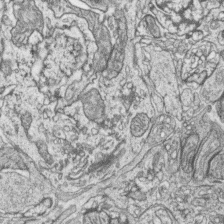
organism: Zebrafish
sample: synaptic ribbons in rod cells and cone cells